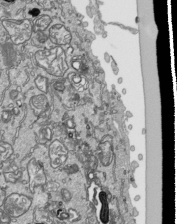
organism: Human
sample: Mitochondria in HCT116 cells